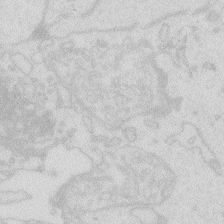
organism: Zebrafish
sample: Macrophage